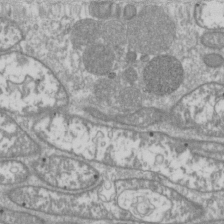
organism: Drosophila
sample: Cell division; meiosis; drosophila spermatocytes